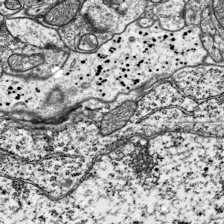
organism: Mouse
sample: Visual Cortex